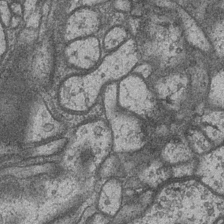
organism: Drosophila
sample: Optic medulla